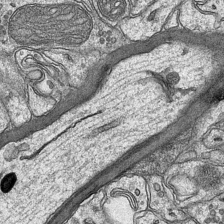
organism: Mouse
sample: CA1 Hippocampus